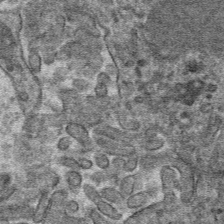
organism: Mouse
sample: Mouse hepatocytes